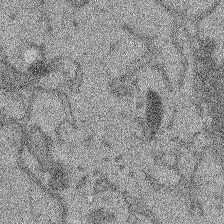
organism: Human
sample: HeLa cells